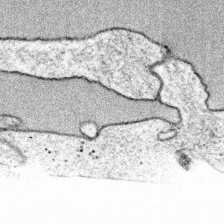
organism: Human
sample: HeLa cells